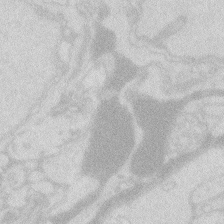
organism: Zebrafish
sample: Macrophage